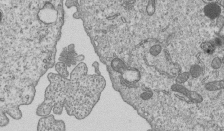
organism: Human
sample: MDA-MB-231 cells